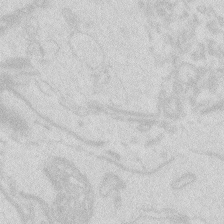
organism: Zebrafish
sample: Macrophage